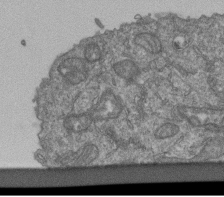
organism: Human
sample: Retinal organoid Rod and Cone cells